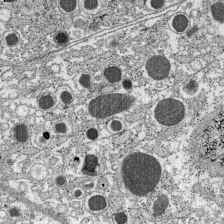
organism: C57BL Mouse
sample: Pancreatic islet